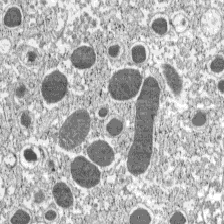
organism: C57BL Mouse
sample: Pancreatic islet